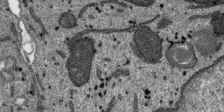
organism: Human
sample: Lung epithelial cells, uninfected (mock) control